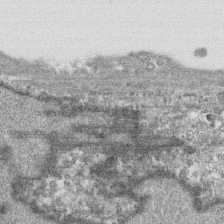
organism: Human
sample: CRL-1474